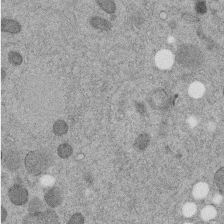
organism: C. elegans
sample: C. elegans embryo early stage